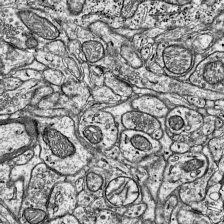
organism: Mouse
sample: Visual Cortex